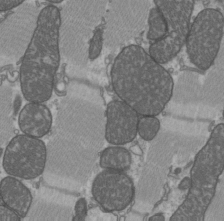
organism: C57BL Mouse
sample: Heart